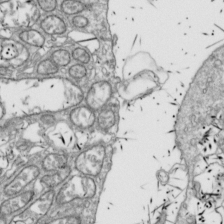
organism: Drosophila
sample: Cell division; meiosis; drosophila spermatocytes